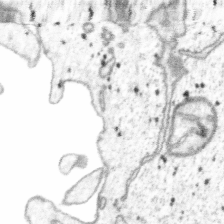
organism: Human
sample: HeLa cells